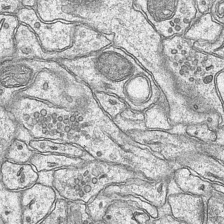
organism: Mouse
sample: CA1 Hippocampus